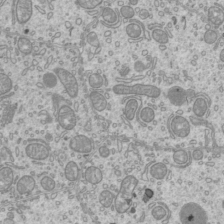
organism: Mouse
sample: Cilia; mouse epididymis